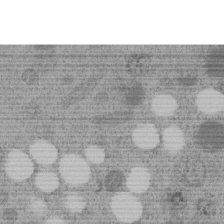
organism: C. elegans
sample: C. elegans embryo early stage